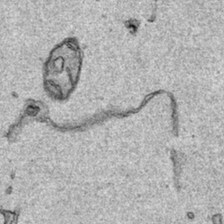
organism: Human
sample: Mitochondria in HCT116 cells